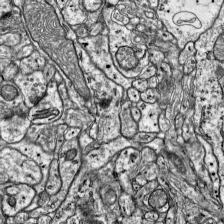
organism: Mouse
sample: Visual Cortex